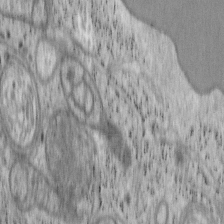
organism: Human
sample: HeLa cells